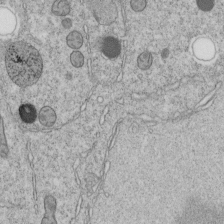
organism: C. elegans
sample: C. elegans embryo early stage